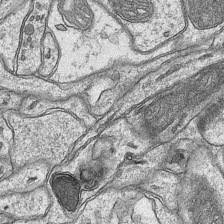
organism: Mouse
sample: CA1 Hippocampus